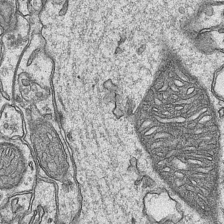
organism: Mouse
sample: CA1 Hippocampus